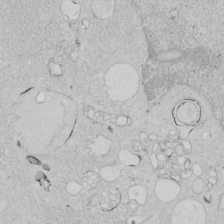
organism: Human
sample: Mitochondria in HCT116 cells